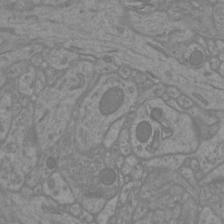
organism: Mouse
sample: Cortical neurons